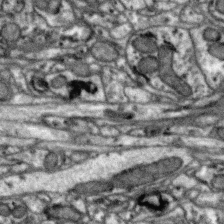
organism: Zebra finch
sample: Brain